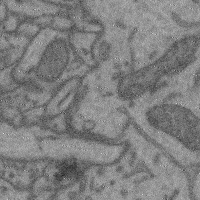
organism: Mouse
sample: Cerebral cortex